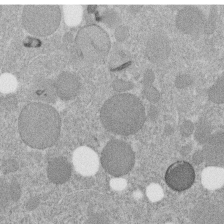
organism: C. elegans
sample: C. elegans embryo early stage